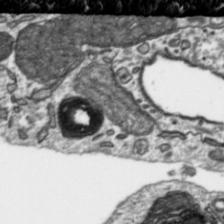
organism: Toxoplasma gondii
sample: Parasites in a vacuole inside a host cell